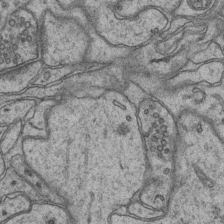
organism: Mouse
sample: CA1 Hippocampus